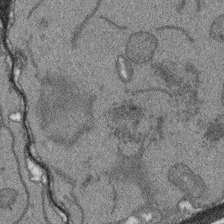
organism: Arabidopsis thaliana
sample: Root tip